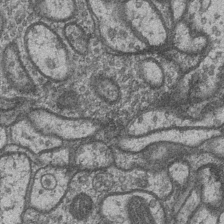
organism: Drosophila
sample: Optic medulla